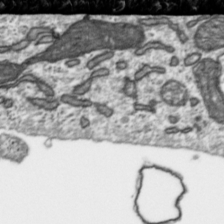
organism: Toxoplasma gondii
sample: Parasites in a vacuole inside a host cell